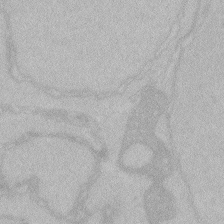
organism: Zebrafish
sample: Macrophage infected with Toxoplasma gondii